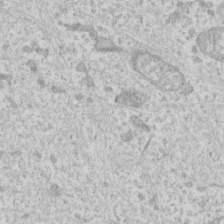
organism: Human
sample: Fibroblast cells